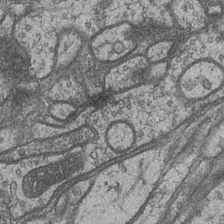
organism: Drosophila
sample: Optic medulla